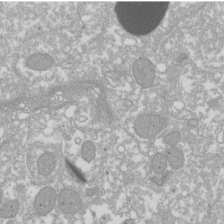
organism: Xenopus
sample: Cilia; centrioles in frog embryo cells